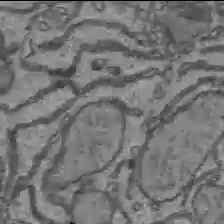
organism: C57BL Mouse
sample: Liver